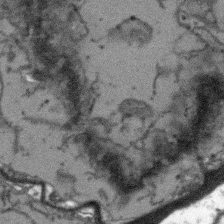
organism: Arabidopsis thaliana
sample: Root tip